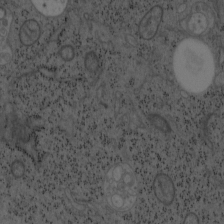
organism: Mouse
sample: OT-I killer T cells with ID8 ovarian cancer cells